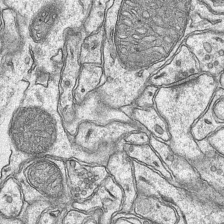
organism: Mouse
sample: CA1 Hippocampus